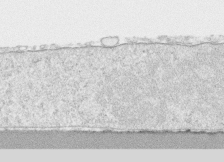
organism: Human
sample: CRL-1474